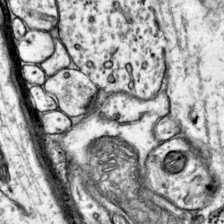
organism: Mouse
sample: Primary visual cortex